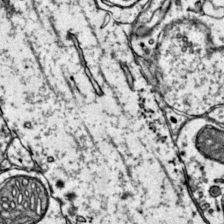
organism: Mouse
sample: Primary visual cortex